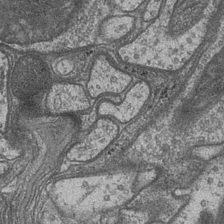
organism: Drosophila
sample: Optic medulla